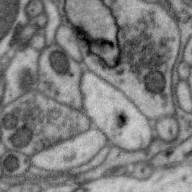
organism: Zebra finch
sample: Brain